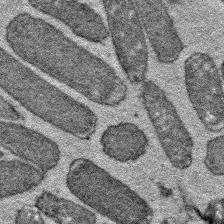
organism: E. coli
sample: E. Coli Bacteria